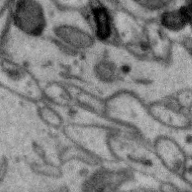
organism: Zebra finch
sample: Brain